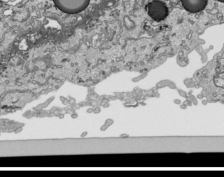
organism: Human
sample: Mitochondria in HCT116 cells